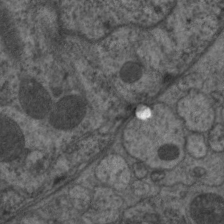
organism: C. elegans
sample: Pharynx